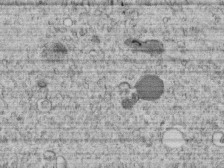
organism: C. elegans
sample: C. elegans embryo early stage